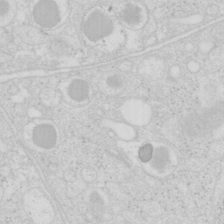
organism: Mouse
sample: Pancreas